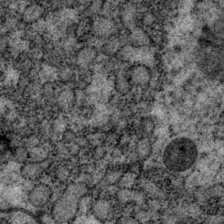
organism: P. pacificus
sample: Pharynx